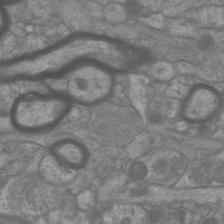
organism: Mouse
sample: Cortical neurons